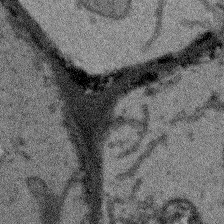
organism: Arabidopsis thaliana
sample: Root tip